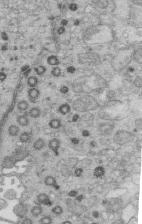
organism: Mouse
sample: Multiciliated cells